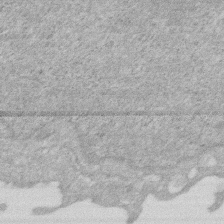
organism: Human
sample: HIV infected U937 cells